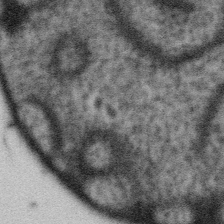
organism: Gemmata obscuriglobus